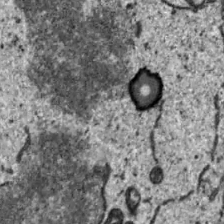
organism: Human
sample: HeLa cells